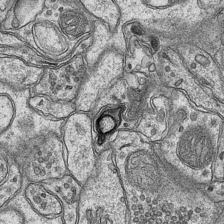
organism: Mouse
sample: CA1 Hippocampus